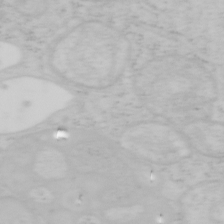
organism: Mouse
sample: OT-I killer T cells with ID8 ovarian cancer cells